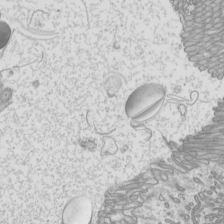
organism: Mouse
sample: Cilia; mouse epididymis